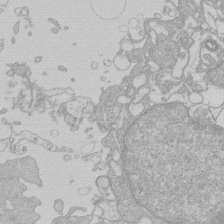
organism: Human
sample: Macrophage cells